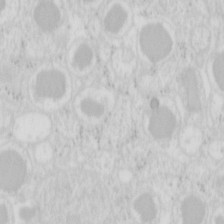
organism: Mouse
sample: Pancreas